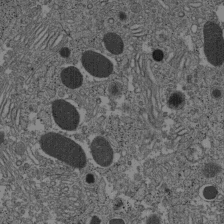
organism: C57BL Mouse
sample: Pancreatic islet